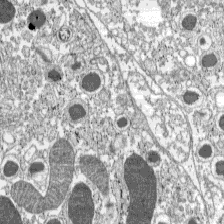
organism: C57BL Mouse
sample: Pancreatic islet